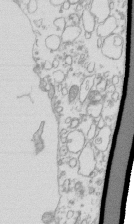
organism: Mouse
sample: Macrophages